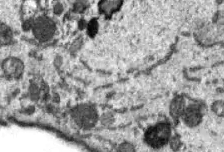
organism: Human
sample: HeLa cells